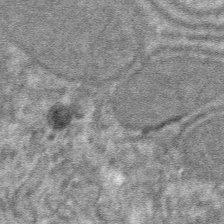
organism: Mouse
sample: Mouse hepatocytes